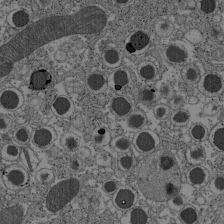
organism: C57BL Mouse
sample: Pancreatic islet